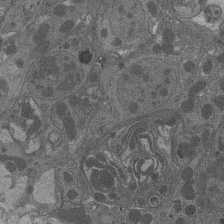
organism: Drosophila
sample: Antenna